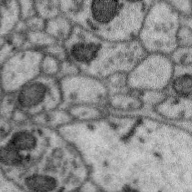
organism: Zebra finch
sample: Brain